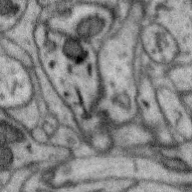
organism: Zebra finch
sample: Brain